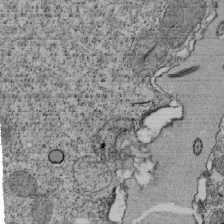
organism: Tetrahymena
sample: Cilia in tetrahymena